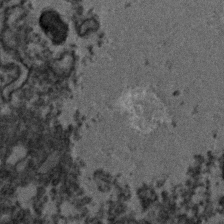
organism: Zebrafish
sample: Zebrafish embryo